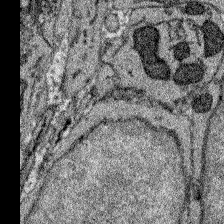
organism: Zebrafish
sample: Larval olfactory bulb